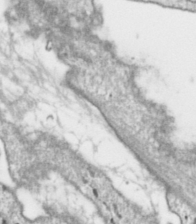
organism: Toxoplasma gondii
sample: Parasites in a vacuole inside a host cell